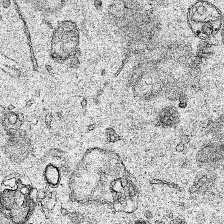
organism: Human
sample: Mitochondria in HCT116 cells